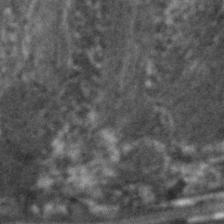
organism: C. elegans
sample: Pharynx